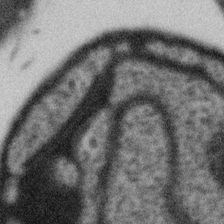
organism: Gemmata obscuriglobus